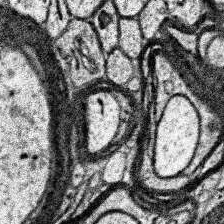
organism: Human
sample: Temporal Lobe